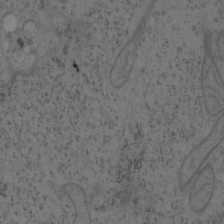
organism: Mouse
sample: OT-I killer T cells with ID8 ovarian cancer cells